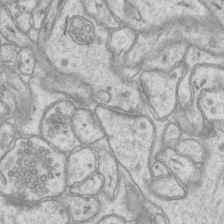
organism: Mouse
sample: CA1 Hippocampus